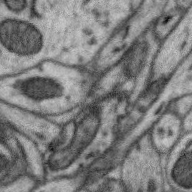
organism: Zebra finch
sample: Brain